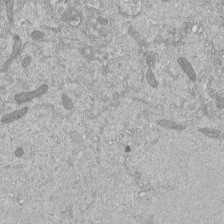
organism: Mouse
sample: ED-1 cell nuclei; centrioles